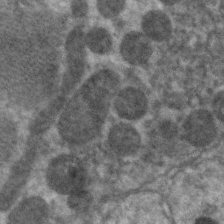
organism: C. elegans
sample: Pharynx